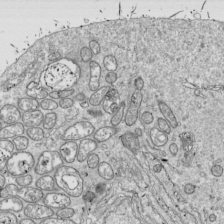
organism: Drosophila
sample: Cell division; meiosis; drosophila spermatocytes